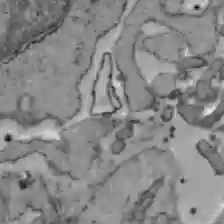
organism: C57BL Mouse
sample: Liver